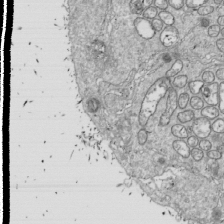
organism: Drosophila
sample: Cell division; meiosis; drosophila spermatocytes